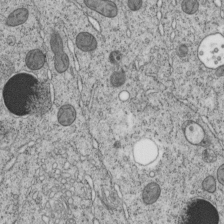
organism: C. elegans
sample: C. elegans embryo early stage